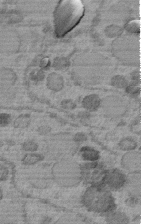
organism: C. elegans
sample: C. elegans embryo early stage